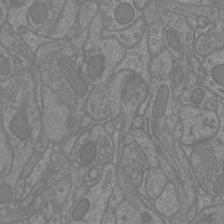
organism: Mouse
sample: Cortical neurons